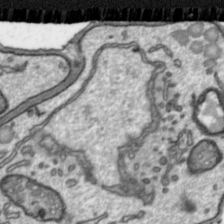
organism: Toxoplasma gondii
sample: Parasites in a vacuole inside a host cell